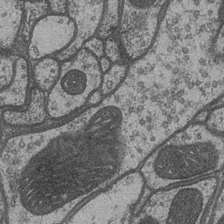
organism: Drosophila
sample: Optic medulla